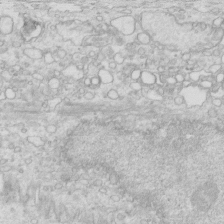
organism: Mouse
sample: Multiciliated cells